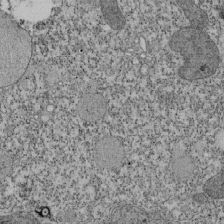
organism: Tetrahymena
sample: Cilia in tetrahymena